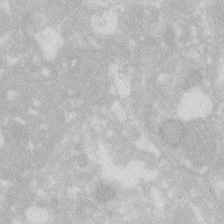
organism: Zebrafish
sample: Macrophage